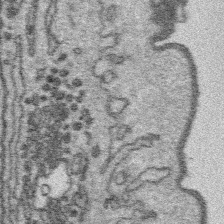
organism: Platynereis dumerilii